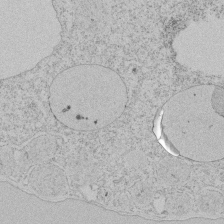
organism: Tetrahymena